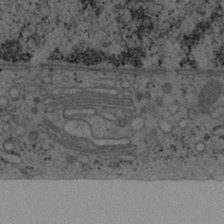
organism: Human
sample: HeLa cells